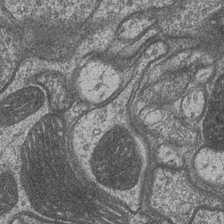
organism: Drosophila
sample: Optic medulla